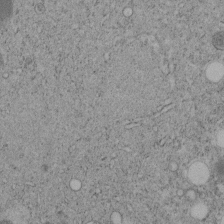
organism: C. elegans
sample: C. elegans embryo early stage